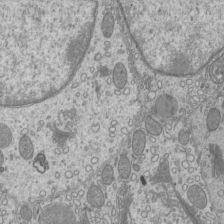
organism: Mouse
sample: Cilia; mouse epididymis